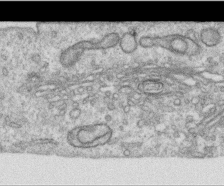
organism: Human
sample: Centriole in RPE cells